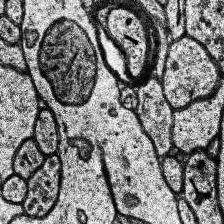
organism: Human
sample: Temporal Lobe